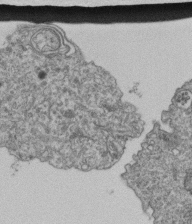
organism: Human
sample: Retinal organoid Rod and Cone cells